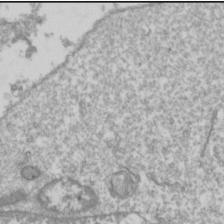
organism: Drosophila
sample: Cell division; meiosis; drosophila spermatocytes